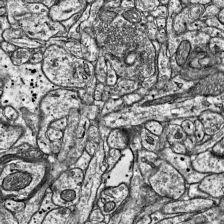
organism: Mouse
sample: Visual Cortex